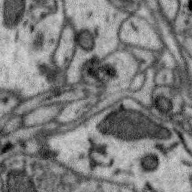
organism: Zebra finch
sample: Brain